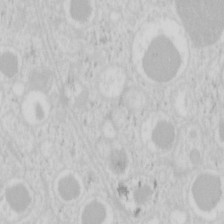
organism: Mouse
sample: Pancreas